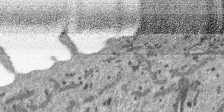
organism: Human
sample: Lung epithelial cells infected with SARS-CoV-2